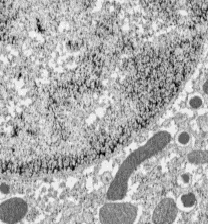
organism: C57BL Mouse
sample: Pancreatic islet